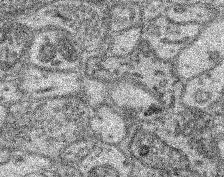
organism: Mouse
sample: Retina